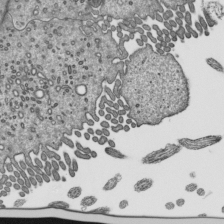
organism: Mouse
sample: Mouse epididymis efferent ductule cilia